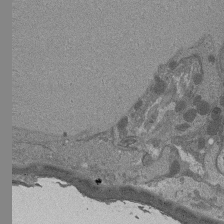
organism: Drosophila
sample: Antenna